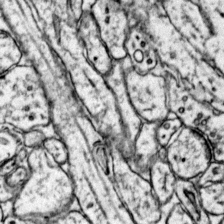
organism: Mouse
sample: Primary visual cortex